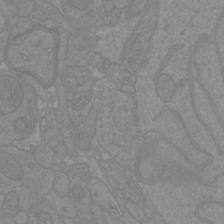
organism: Mouse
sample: Cortical neurons